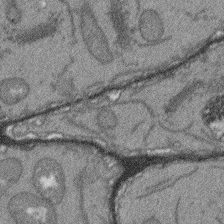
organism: Arabidopsis thaliana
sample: Root tip